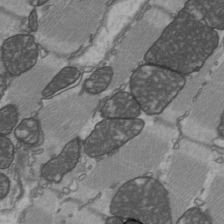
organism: C57BL Mouse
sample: Heart